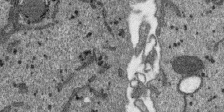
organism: Human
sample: Lung epithelial cells infected with SARS-CoV-2